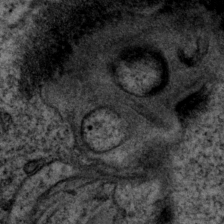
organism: P. pacificus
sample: Pharynx